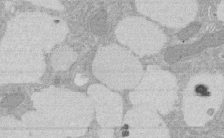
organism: Rat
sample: Salivary granule